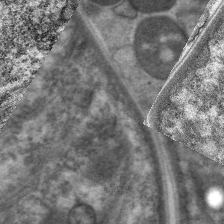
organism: C. elegans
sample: Pharynx